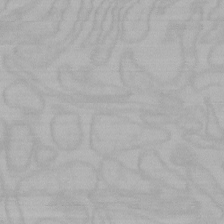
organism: Mouse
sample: Choroid plexus